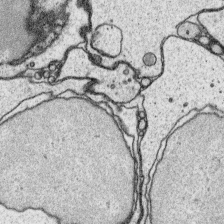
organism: Platynereis dumerilii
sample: Parapodia